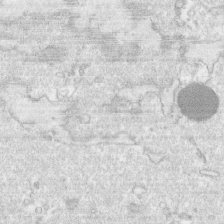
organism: Human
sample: CRL-1474